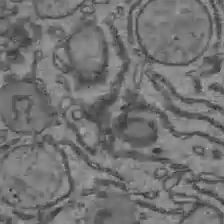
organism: C57BL Mouse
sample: Liver